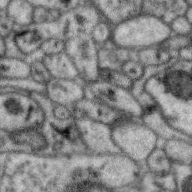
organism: Zebra finch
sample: Brain